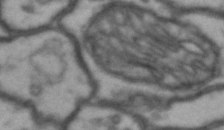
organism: Drosophila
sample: Brain